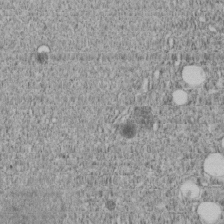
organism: C. elegans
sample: C. elegans embryo early stage